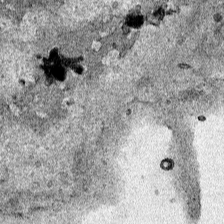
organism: Human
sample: Mitochondria in HCT116 cells